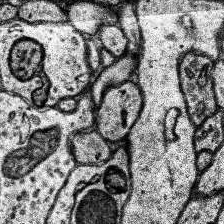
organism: Human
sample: Temporal Lobe